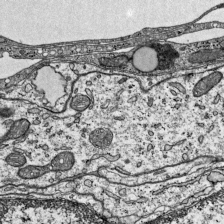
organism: Mouse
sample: Visual Cortex